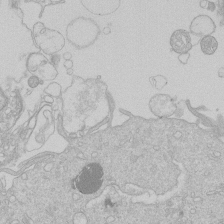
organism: Human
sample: Macrophage cells